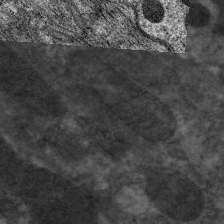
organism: C. elegans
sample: Pharynx